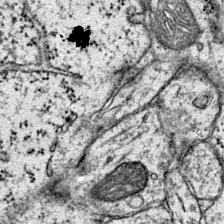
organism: Mouse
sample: Primary visual cortex